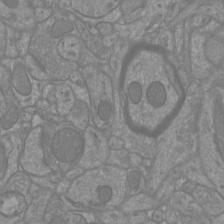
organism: Mouse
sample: Cortical neurons